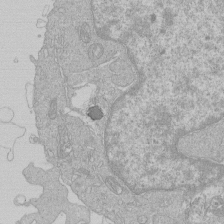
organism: Human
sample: Macrophage cells